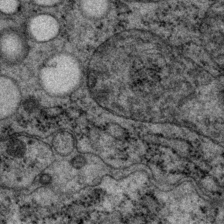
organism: P. pacificus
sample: Pharynx